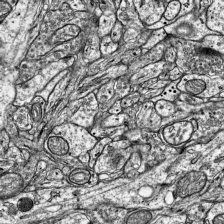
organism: Mouse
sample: Visual Cortex